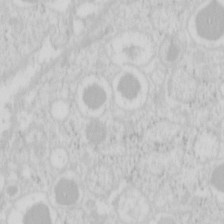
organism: Mouse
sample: Pancreas